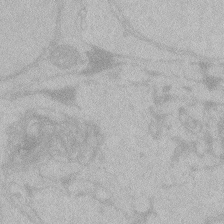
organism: Zebrafish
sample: Macrophage infected with Toxoplasma gondii